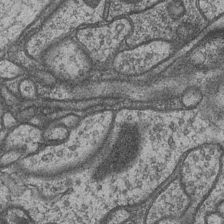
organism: Drosophila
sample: Optic medulla